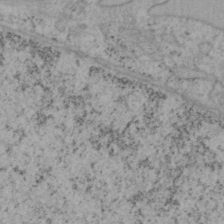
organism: Human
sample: HeLa cells